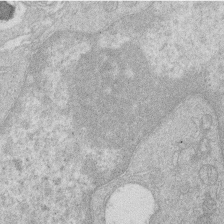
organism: Human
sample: Macrophage cells